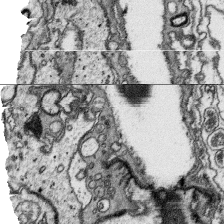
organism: Platynereis dumerilii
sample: Parapodia